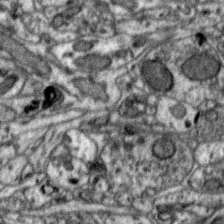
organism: Zebra finch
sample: Brain